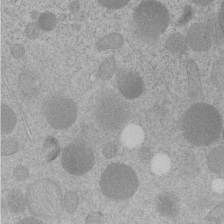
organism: C. elegans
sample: C. elegans embryo early stage